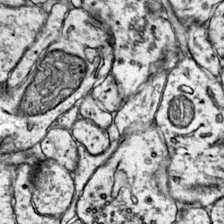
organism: Mouse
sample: Primary visual cortex